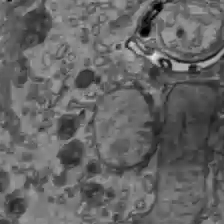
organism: C57BL Mouse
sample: Liver